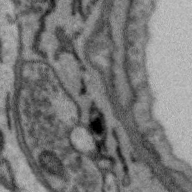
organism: Zebra finch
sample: Brain